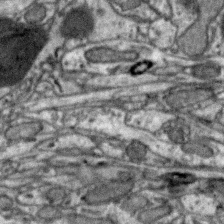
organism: Zebra finch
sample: Brain